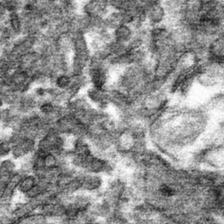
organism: Mouse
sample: Mouse hepatocytes